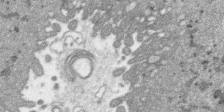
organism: Human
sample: Lung epithelial cells infected with SARS-CoV-2